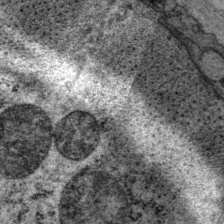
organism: P. pacificus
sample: Pharynx